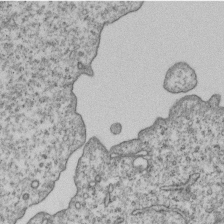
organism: Human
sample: MDA-MB-231 cells